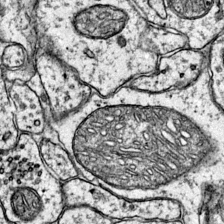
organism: Mouse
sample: Primary visual cortex